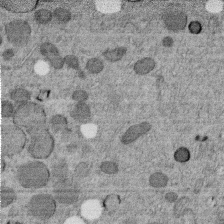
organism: C. elegans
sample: C. elegans embryo early stage